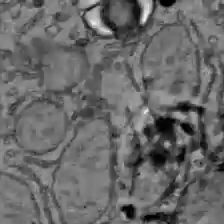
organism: C57BL Mouse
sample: Liver